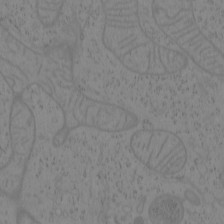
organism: Human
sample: HeLa cells